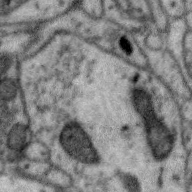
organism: Zebra finch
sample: Brain